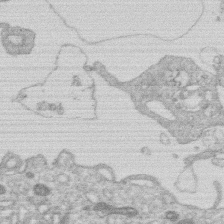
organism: Human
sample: Macrophage cells